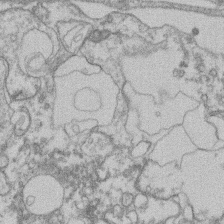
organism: Mouse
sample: T cell stromal cell synapse